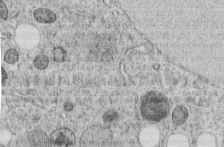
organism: C. elegans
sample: C. elegans embryo early stage